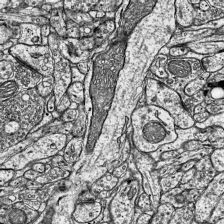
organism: Mouse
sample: Visual Cortex